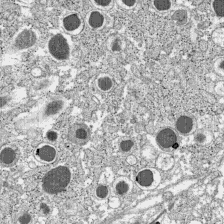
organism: C57BL Mouse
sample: Pancreatic islet